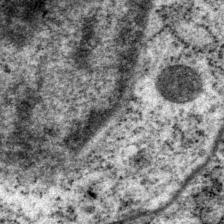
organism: P. pacificus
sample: Pharynx